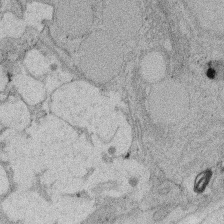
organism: Rat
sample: Salivary granule